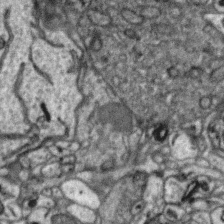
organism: Zebra finch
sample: Brain